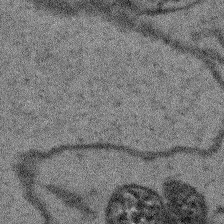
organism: Arabidopsis thaliana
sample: Root tip